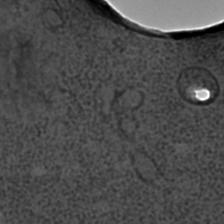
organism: C. elegans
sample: C. elegans embryo